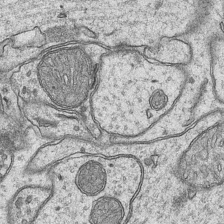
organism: Mouse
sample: CA1 Hippocampus